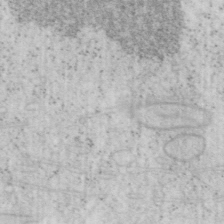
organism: Human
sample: HeLa cells